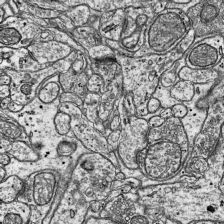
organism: Mouse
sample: Visual Cortex